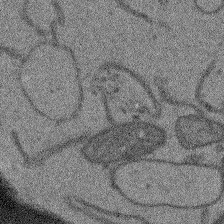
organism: Arabidopsis thaliana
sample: Root tip